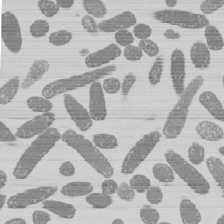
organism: E. coli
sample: Bacterial nucleoid